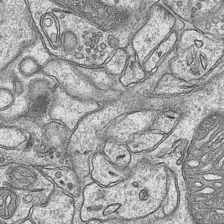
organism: Mouse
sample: CA1 Hippocampus